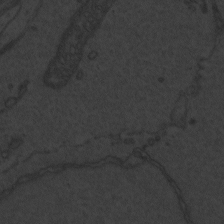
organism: Zebrafish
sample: Macrophage infected with Toxoplasma gondii